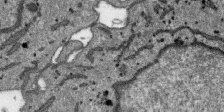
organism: Human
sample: Lung epithelial cells, uninfected (mock) control